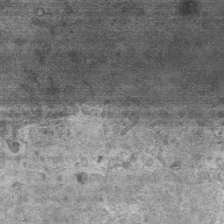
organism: Mouse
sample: Centriole in ependymal cells